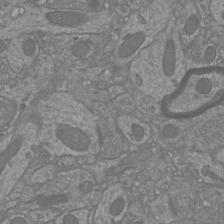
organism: Mouse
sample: Cortical neurons